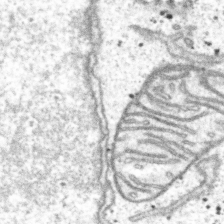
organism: Human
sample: HeLa cells